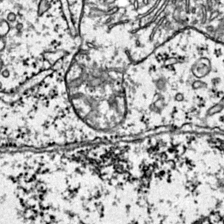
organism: Mouse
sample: Primary visual cortex